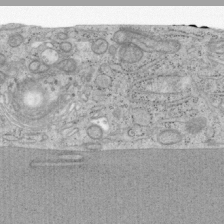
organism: Human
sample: HeLa cells